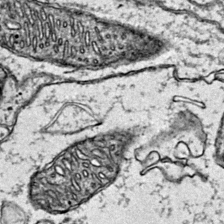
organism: Mouse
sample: Primary visual cortex